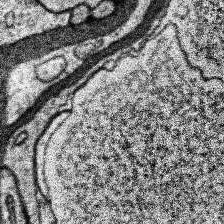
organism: Human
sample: Temporal Lobe